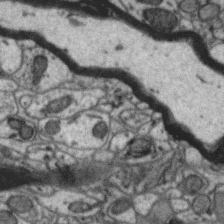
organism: Zebra finch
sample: Brain